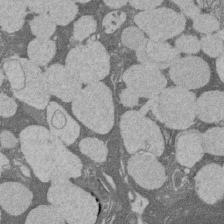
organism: Rat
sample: Salivary granule